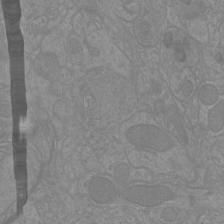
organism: Mouse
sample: Cortical neurons